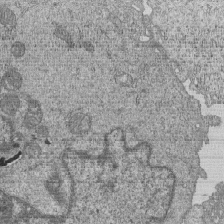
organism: Human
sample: MDA-MB-231 cells